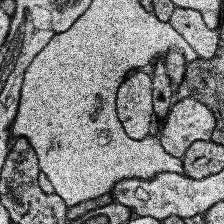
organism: Human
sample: Temporal Lobe